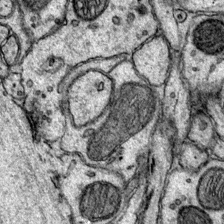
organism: Mouse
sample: Primary visual cortex